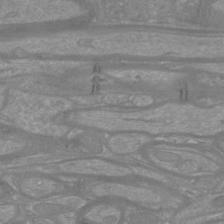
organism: Mouse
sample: Cortical neurons